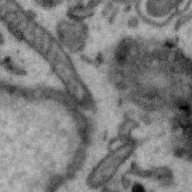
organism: Zebra finch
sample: Brain